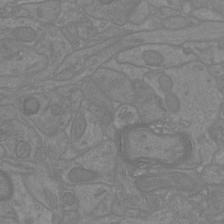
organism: Mouse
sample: Cortical neurons